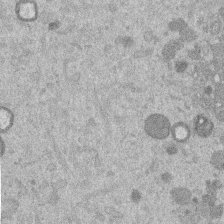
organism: Mouse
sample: Dividing mouse embryo 1 cell stage